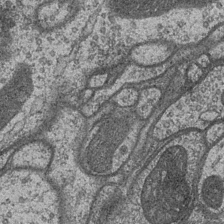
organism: Drosophila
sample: Optic medulla